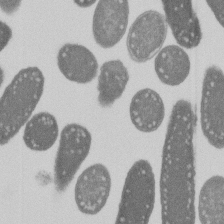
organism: E. coli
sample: Bacterial nucleoid